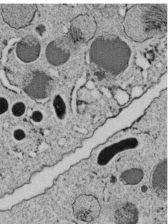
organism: C. elegans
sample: C. elegans embryo early stage